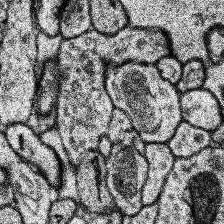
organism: Human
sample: Temporal Lobe